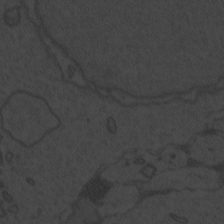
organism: Zebrafish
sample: Macrophage infected with Toxoplasma gondii